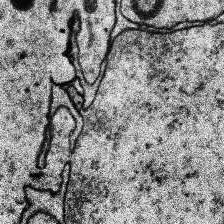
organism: Human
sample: Temporal Lobe